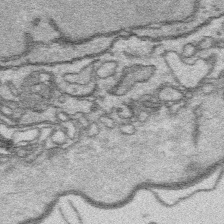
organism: Platynereis dumerilii